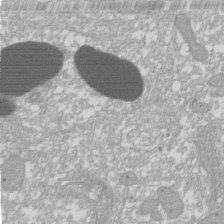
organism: Xenopus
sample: Cilia; centrioles in frog embryo cells